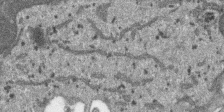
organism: Human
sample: Lung epithelial cells infected with SARS-CoV-2